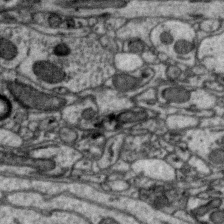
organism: Zebra finch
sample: Brain